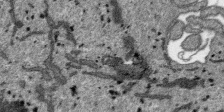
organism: Human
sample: Lung epithelial cells, uninfected (mock) control